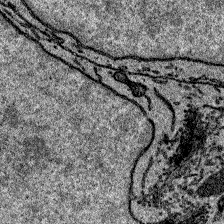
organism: Zebrafish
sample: Larval olfactory bulb